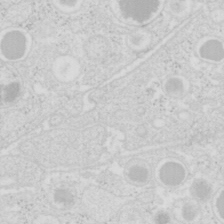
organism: Mouse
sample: Pancreas